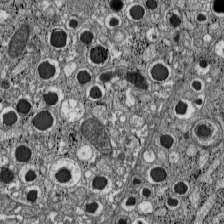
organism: C57BL Mouse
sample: Pancreatic islet